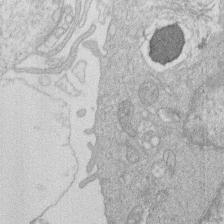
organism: Human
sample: Macrophage cells